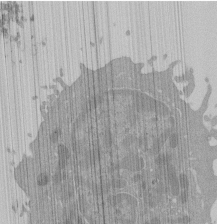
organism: Mouse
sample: Activated Pmel transgenic CD8+ T Cells